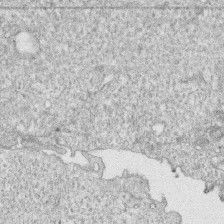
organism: Human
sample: HeLa cell HIV synapse